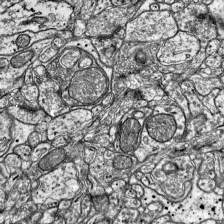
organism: Mouse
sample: Visual Cortex